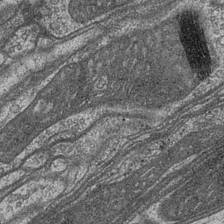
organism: Drosophila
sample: Optic medulla